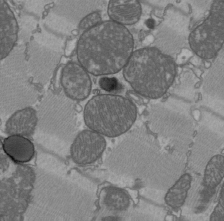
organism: C57BL Mouse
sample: Heart